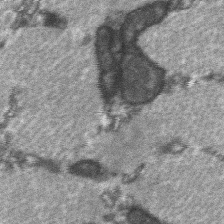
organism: C57BL Mouse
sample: Soleus